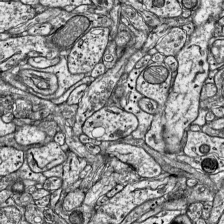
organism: Mouse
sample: Visual Cortex